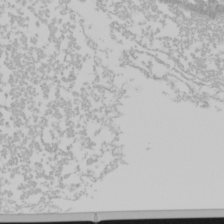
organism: Mouse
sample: Cancer cell death in ED-1 cells